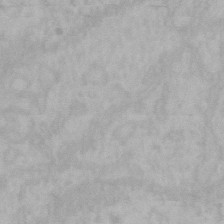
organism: Mouse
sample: Choroid plexus